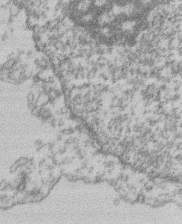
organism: Mouse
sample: T cell stromal cell synapse